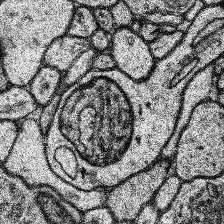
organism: Human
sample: Temporal Lobe